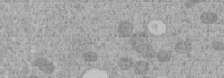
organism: C. elegans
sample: C. elegans embryo early stage